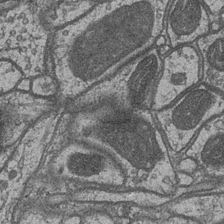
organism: Drosophila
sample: Optic medulla